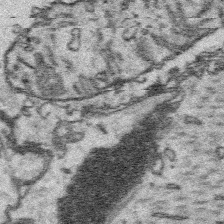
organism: Platynereis dumerilii